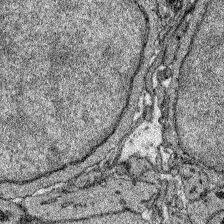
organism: Zebrafish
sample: Larval olfactory bulb